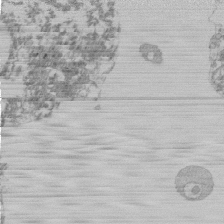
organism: Mouse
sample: Activated Pmel transgenic CD8+ T Cells